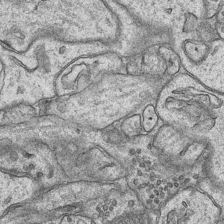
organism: Mouse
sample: CA1 Hippocampus